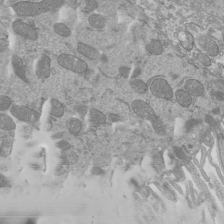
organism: Mouse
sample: Cilia; mouse epididymis